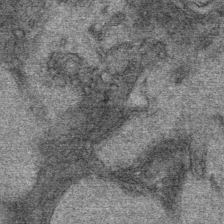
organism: Mouse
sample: Mouse Salivary gland